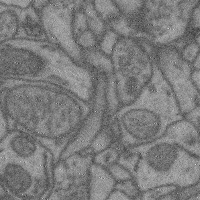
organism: Mouse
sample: Cerebral cortex